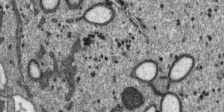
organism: Human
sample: Lung epithelial cells infected with SARS-CoV-2